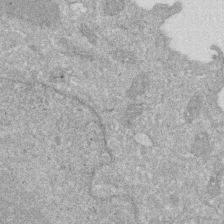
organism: Human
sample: HIV infected U937 cells